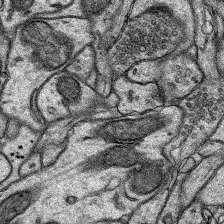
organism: Rat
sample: Hippocampus